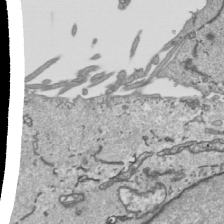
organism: Human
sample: Mitochondria in HCT116 cells